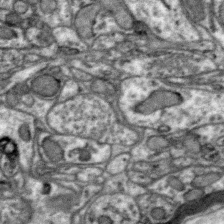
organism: Zebra finch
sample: Brain